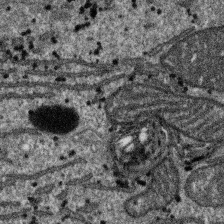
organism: Human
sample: Lung epithelial cells infected with SARS-CoV-2